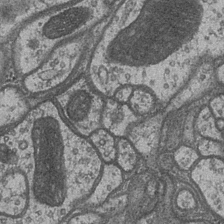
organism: Drosophila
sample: Optic medulla